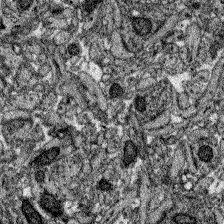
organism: Zebrafish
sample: Larval olfactory bulb